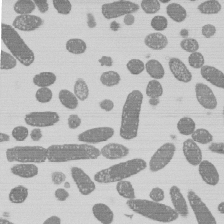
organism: E. coli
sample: Bacterial nucleoid